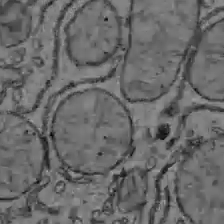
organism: C57BL Mouse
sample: Liver